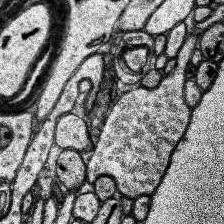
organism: Human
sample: Temporal Lobe